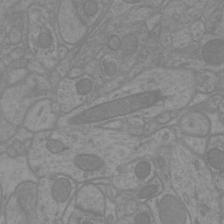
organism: Mouse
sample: Cortical neurons